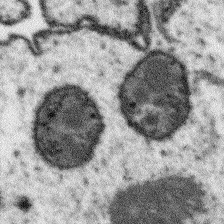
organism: Arabidopsis thaliana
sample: Root tip